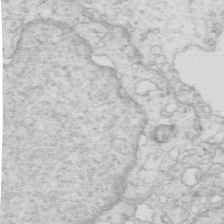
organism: Mouse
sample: Multiciliated cells